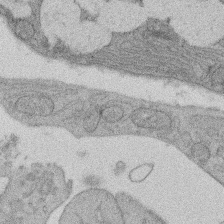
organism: Rat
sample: Salivary granule